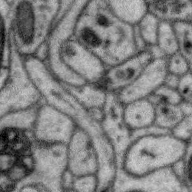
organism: Zebra finch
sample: Brain